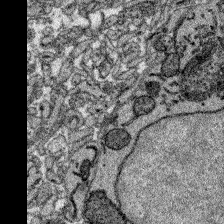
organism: Zebrafish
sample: Larval olfactory bulb